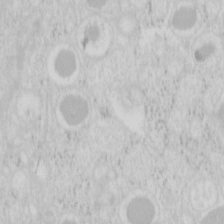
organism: Mouse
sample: Pancreas